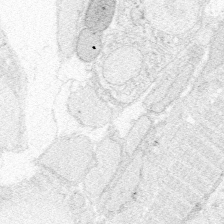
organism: Zebrafish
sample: Whole-Brain